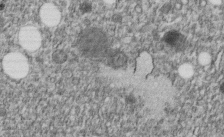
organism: C. elegans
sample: C. elegans embryo early stage